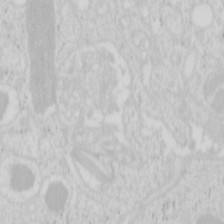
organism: Mouse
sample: Pancreas